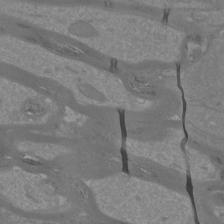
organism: Mouse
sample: Cortical neurons